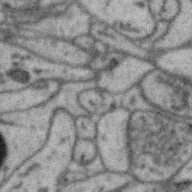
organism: Zebra finch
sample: Brain